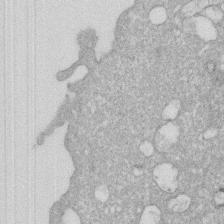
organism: Human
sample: HIV infected U937 cells